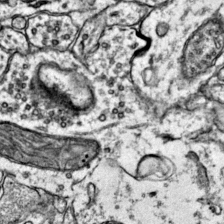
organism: Mouse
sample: Primary visual cortex